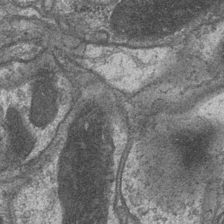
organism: Drosophila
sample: Optic medulla